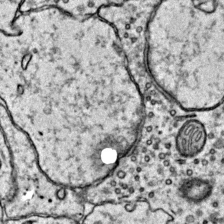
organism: Mouse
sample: Primary visual cortex